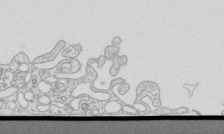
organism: Mouse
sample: Macrophages